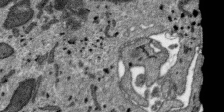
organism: Human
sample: Lung epithelial cells, uninfected (mock) control